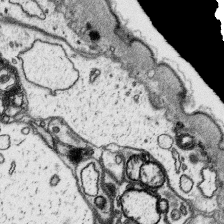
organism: Platynereis dumerilii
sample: Parapodia